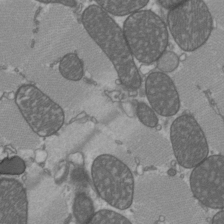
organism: C57BL Mouse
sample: Heart